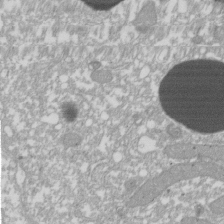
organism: Xenopus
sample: Cilia; centrioles in frog embryo cells